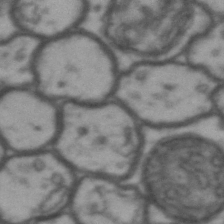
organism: Drosophila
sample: Brain